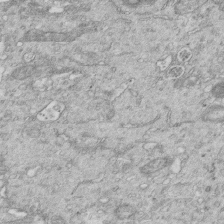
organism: Mouse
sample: Multiciliated cells